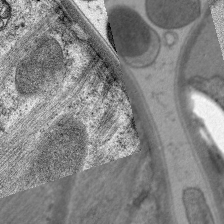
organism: C. elegans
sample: Pharynx